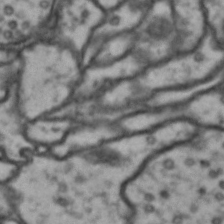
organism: Drosophila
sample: Brain